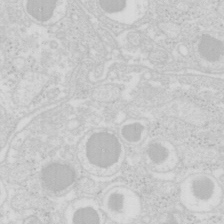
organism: Mouse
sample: Pancreas